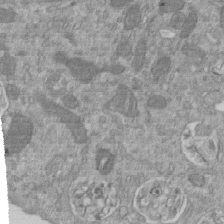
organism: Mouse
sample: ED-1 cell nuclei; centrioles